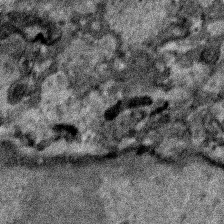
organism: Human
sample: Mitochondria in HCT116 cells